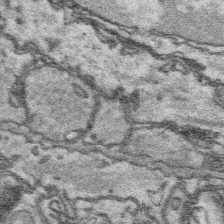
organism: Platynereis dumerilii